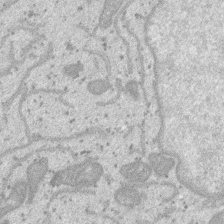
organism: Human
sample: Lung epithelial cells infected with SARS-CoV-2